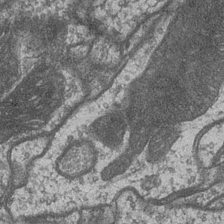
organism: Drosophila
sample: Optic medulla